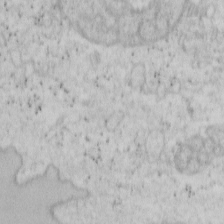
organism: Human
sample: HeLa cells